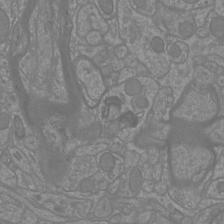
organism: Mouse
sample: Cortical neurons